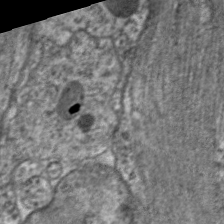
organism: C. elegans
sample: Pharynx